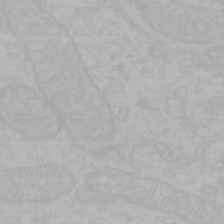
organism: Mouse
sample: Choroid plexus